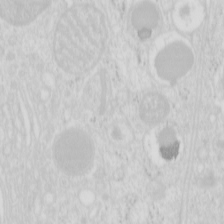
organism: Mouse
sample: Pancreas